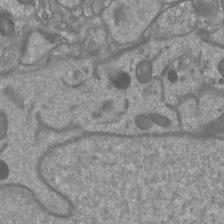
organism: Mouse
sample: Cortical neurons